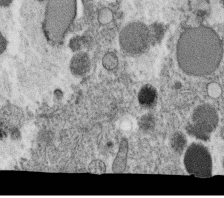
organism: C. elegans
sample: C. elegans oocyte; sperm cells